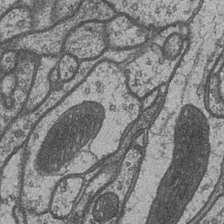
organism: Drosophila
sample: Optic medulla